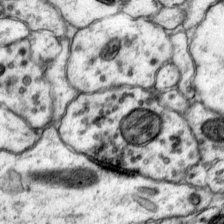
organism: Mouse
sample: Primary visual cortex